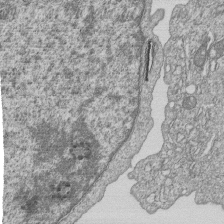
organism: Human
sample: MDA-MB-231 cells